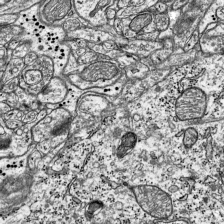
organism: Mouse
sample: Visual Cortex